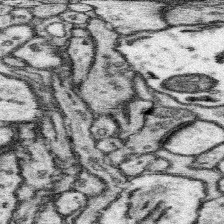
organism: Mouse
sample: Somatosensory cortex neuropil